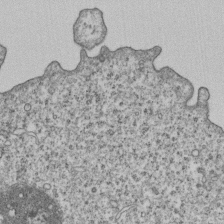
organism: Human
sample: MDA-MB-231 cells